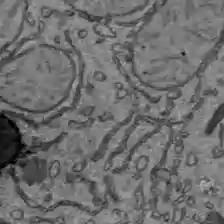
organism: C57BL Mouse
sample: Liver